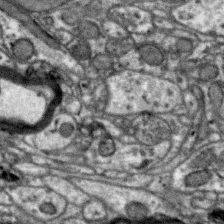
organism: Zebra finch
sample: Brain